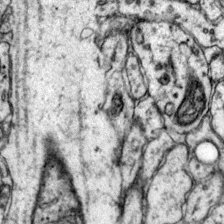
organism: Mouse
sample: Primary visual cortex